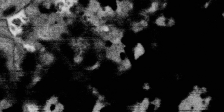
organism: Human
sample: Lung epithelial cells, uninfected (mock) control